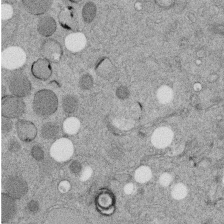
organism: C. elegans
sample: C. elegans embryo early stage